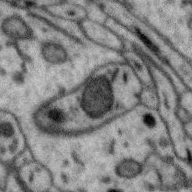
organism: Zebra finch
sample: Brain